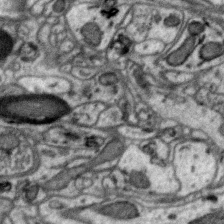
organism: Zebra finch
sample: Brain